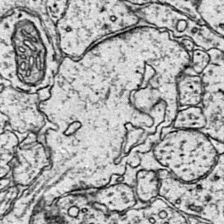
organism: Mouse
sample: Primary visual cortex